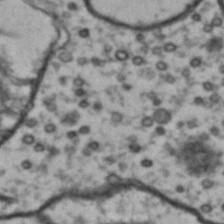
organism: Drosophila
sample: Brain